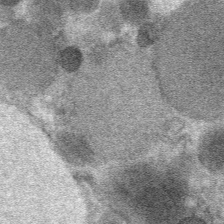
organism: Mouse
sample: Mouse Salivary gland